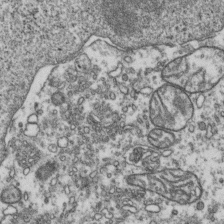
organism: Human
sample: Activated Jurkat CD4+ T cells